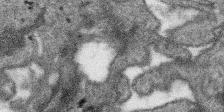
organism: Human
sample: Lung epithelial cells infected with SARS-CoV-2